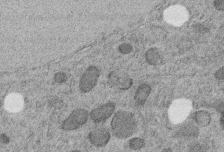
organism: C. elegans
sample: C. elegans embryo early stage